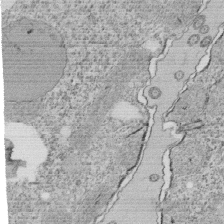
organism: Tetrahymena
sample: Cilia in tetrahymena